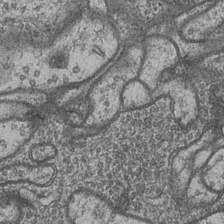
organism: Drosophila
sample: Optic medulla